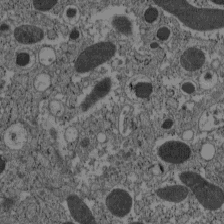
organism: C57BL Mouse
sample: Pancreatic islet